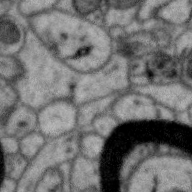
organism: Zebra finch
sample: Brain